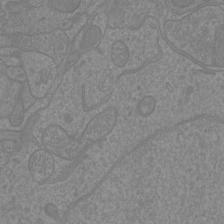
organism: Mouse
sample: Cortical neurons